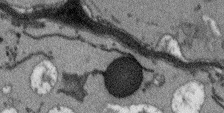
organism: Arabidopsis thaliana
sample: Root tip